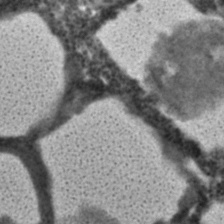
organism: C. elegans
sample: C. elegans embryo